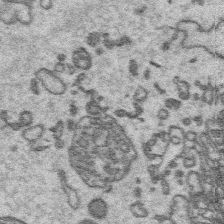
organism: Platynereis dumerilii